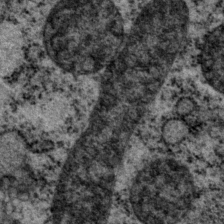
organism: P. pacificus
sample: Pharynx